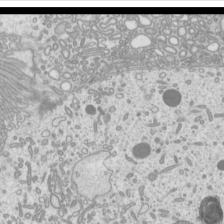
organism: Mouse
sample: Cilia; mouse epididymis